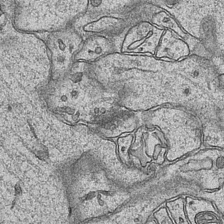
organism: Mouse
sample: CA1 Hippocampus